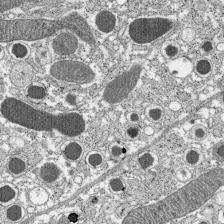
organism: C57BL Mouse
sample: Pancreatic islet